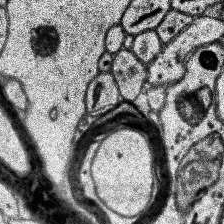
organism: Human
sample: Temporal Lobe